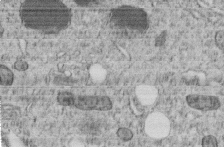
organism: C. elegans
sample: C. elegans embryo early stage